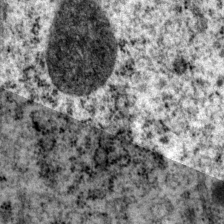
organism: P. pacificus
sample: Pharynx